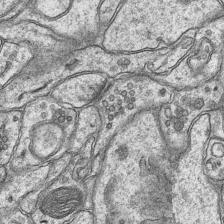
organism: Mouse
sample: CA1 Hippocampus